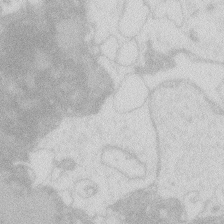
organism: Zebrafish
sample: Macrophage